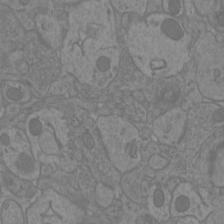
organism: Mouse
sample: Cortical neurons